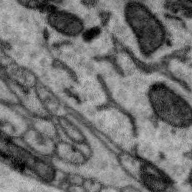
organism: Zebra finch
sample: Brain